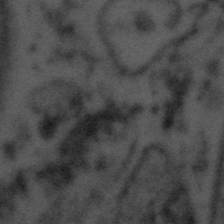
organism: Tuwongella immobilis